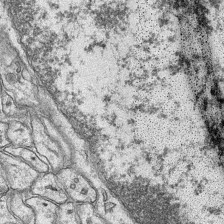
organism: Mouse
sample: CA1 Hippocampus